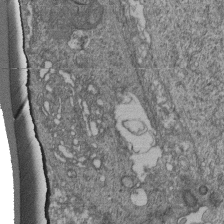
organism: Human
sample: Retinal organoid Rod and Cone cells